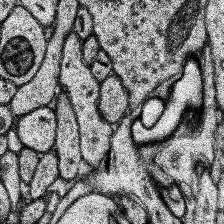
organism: Human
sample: Temporal Lobe